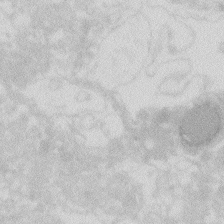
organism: Zebrafish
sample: Macrophage